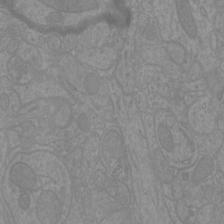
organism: Mouse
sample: Cortical neurons